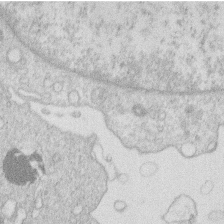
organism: Human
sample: Macrophage cells